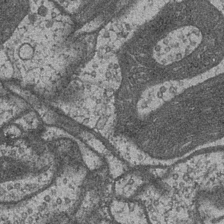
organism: Drosophila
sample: Optic medulla